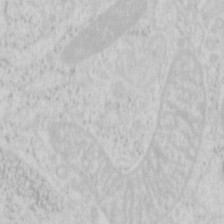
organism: Mouse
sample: Pancreas